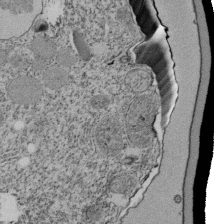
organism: Tetrahymena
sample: Cilia in tetrahymena